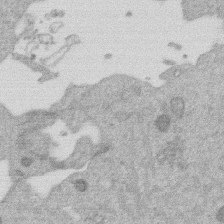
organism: Mouse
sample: Dividing mouse embryo 1 cell stage